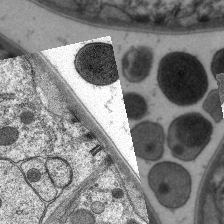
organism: C. elegans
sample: Pharynx